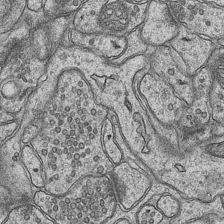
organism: Mouse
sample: CA1 Hippocampus